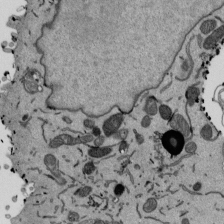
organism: Mouse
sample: ED-1 cell nuclei; centrioles